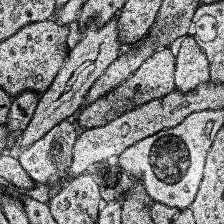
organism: Human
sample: Temporal Lobe